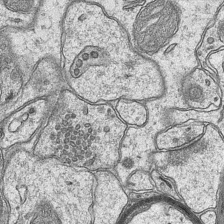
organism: Mouse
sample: CA1 Hippocampus